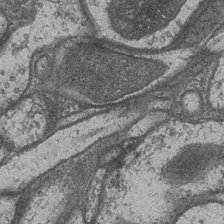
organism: Drosophila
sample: Optic medulla